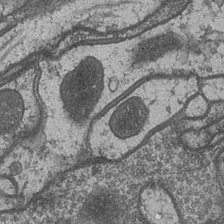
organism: Drosophila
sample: Optic medulla